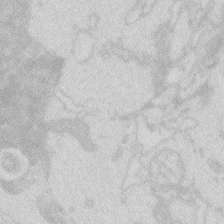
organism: Zebrafish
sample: Macrophage